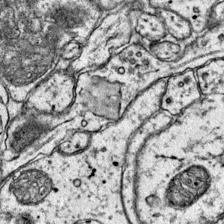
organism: Mouse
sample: Primary visual cortex